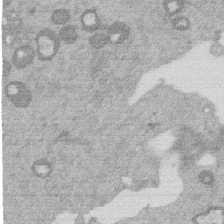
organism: Mouse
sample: Dividing mouse embryo 1 cell stage